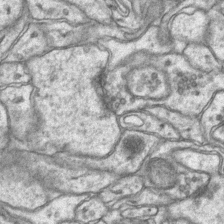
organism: Mouse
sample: CA1 Hippocampus